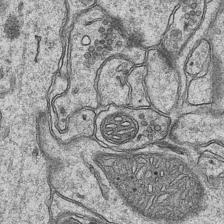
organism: Mouse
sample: CA1 Hippocampus